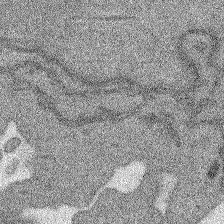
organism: Human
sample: HeLa cells